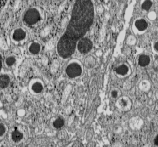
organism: C57BL Mouse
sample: Pancreatic islet